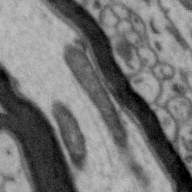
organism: Zebra finch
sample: Brain